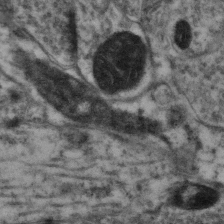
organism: Mouse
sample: Neocortex